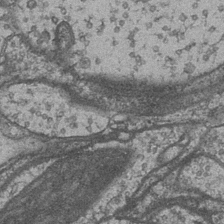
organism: Drosophila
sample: Optic medulla